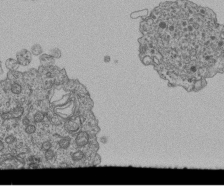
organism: Human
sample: Retinal organoid Rod and Cone cells